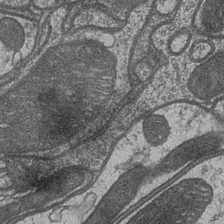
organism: Drosophila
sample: Optic medulla